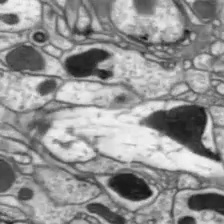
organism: Drosophila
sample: Optic lobe